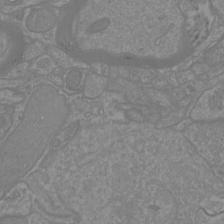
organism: Mouse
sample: Cortical neurons